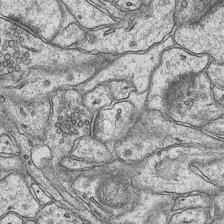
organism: Mouse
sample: CA1 Hippocampus